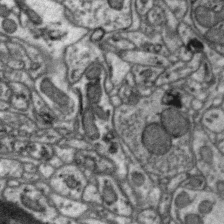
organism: Zebra finch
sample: Brain